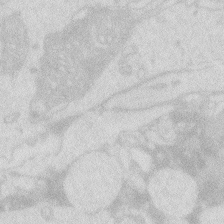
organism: Zebrafish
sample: Macrophage